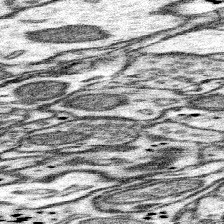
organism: Mouse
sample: Somatosensory cortex neuropil